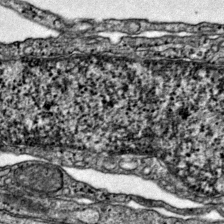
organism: Mouse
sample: Primary visual cortex